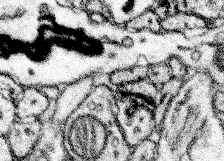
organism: Mouse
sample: Somatosensory cortex neuropil